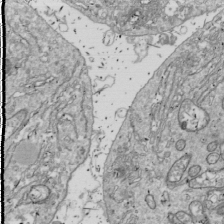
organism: Drosophila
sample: Cell division; meiosis; drosophila spermatocytes